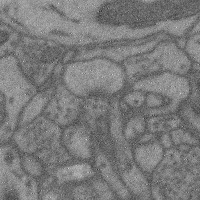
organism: Mouse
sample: Cerebral cortex